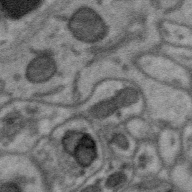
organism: Zebra finch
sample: Brain